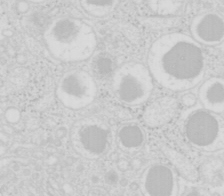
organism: Mouse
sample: Pancreas